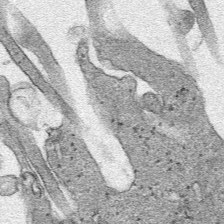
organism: Human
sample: Mitochondria in HCT116 cells